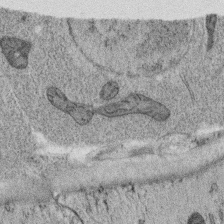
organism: C. elegans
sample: C. elegans oocyte; sperm cells